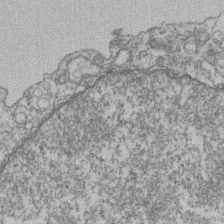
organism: Mouse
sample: T cell stromal cell synapse